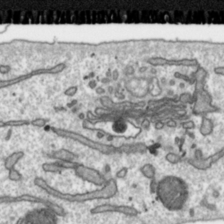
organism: Toxoplasma gondii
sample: Parasites in a vacuole inside a host cell